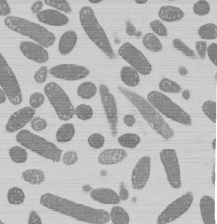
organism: E. coli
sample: Bacterial nucleoid